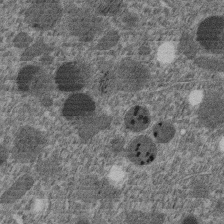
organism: C. elegans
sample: C. elegans embryo early stage